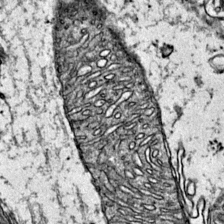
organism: Mouse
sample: Primary visual cortex